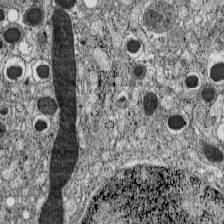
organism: C57BL Mouse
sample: Pancreatic islet